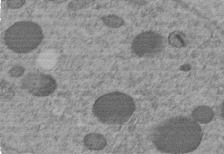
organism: C. elegans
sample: C. elegans embryo early stage